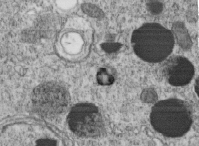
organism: C. elegans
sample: C. elegans embryo early stage